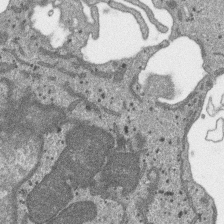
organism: Human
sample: Lung epithelial cells infected with SARS-CoV-2